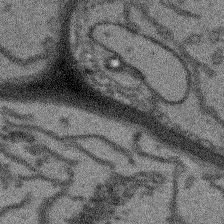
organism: Arabidopsis thaliana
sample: Root tip